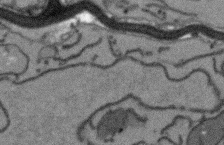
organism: Arabidopsis thaliana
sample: Root tip